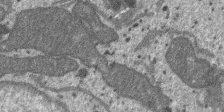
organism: Human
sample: Lung epithelial cells infected with SARS-CoV-2